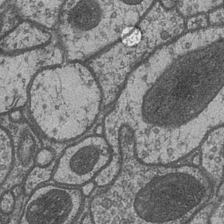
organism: Drosophila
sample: Optic medulla